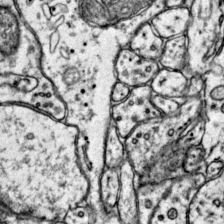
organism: Mouse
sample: Primary visual cortex